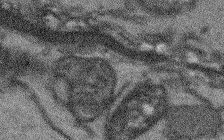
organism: Arabidopsis thaliana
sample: Root tip